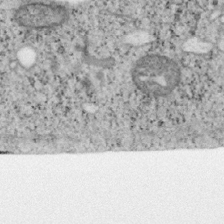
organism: Mouse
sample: OT-I killer T cells with ID8 ovarian cancer cells